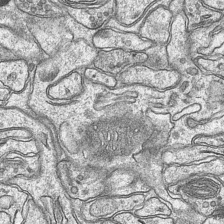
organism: Mouse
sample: CA1 Hippocampus